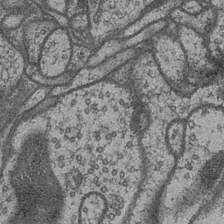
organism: Drosophila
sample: Optic medulla